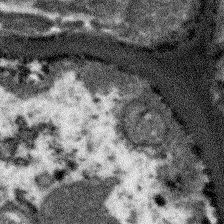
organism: Arabidopsis thaliana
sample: Root tip